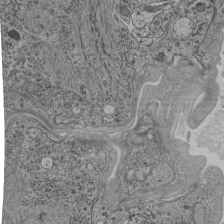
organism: C. elegans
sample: C. elegans pharynx